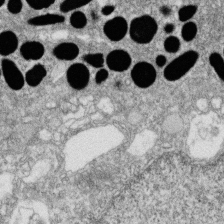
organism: Zebrafish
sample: Cilia; retinal pigment epithelium